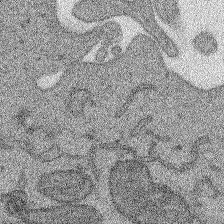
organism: Human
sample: HeLa cells